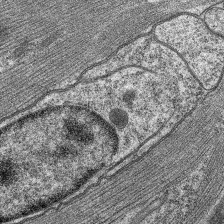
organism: C. elegans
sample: Pharynx